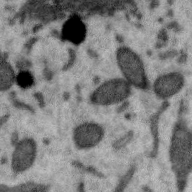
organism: Zebra finch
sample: Brain